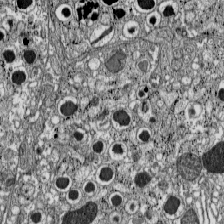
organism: C57BL Mouse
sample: Pancreatic islet